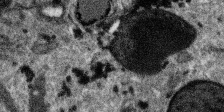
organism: Human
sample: Lung epithelial cells infected with SARS-CoV-2